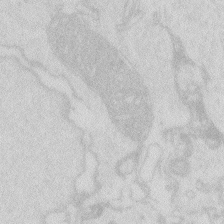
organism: Zebrafish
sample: Macrophage